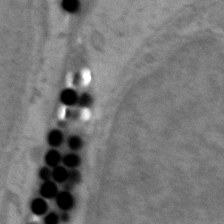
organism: Zebrafish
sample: Zebrafish embryo